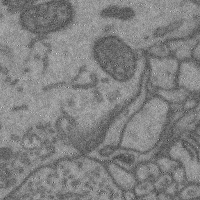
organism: Mouse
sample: Cerebral cortex